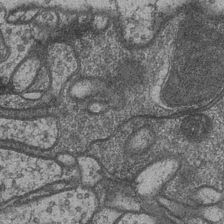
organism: Drosophila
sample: Optic medulla